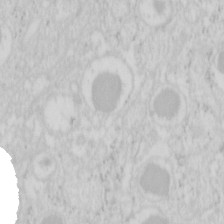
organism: Mouse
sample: Pancreas